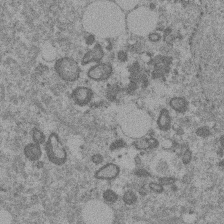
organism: Mouse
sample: Dividing mouse embryo 1 cell stage